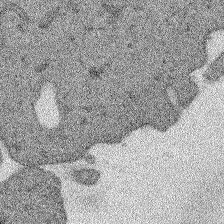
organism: Human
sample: HeLa cells